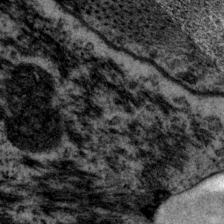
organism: P. pacificus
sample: Pharynx